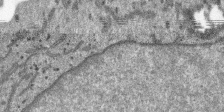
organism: Human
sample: Lung epithelial cells infected with SARS-CoV-2